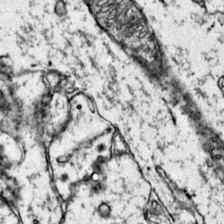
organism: Mouse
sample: Primary visual cortex